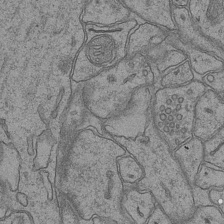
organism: Mouse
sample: CA1 Hippocampus